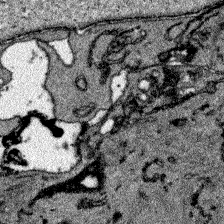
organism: Zebrafish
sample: Larval olfactory bulb